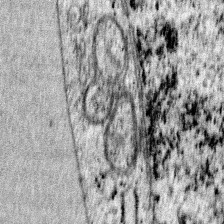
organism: Human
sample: HeLa cells